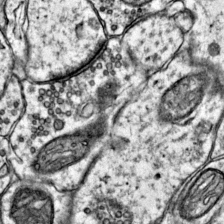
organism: Mouse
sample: Primary visual cortex